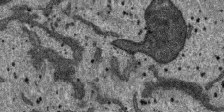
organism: Human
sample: Lung epithelial cells, uninfected (mock) control